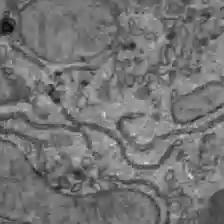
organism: C57BL Mouse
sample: Liver